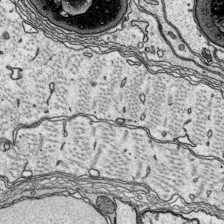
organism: Platynereis dumerilii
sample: Parapodia